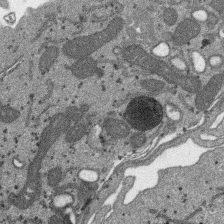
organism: Human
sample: Lung epithelial cells infected with SARS-CoV-2